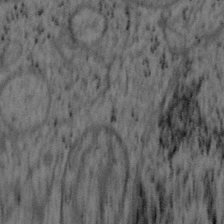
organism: Human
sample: HeLa cells